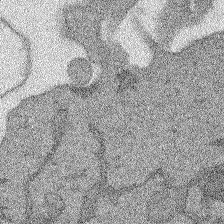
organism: Human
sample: HeLa cells